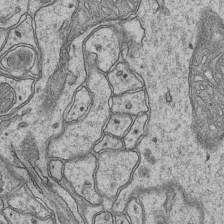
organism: Mouse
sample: CA1 Hippocampus